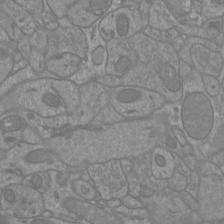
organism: Mouse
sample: Cortical neurons